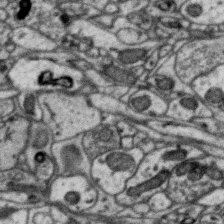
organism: Zebra finch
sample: Brain